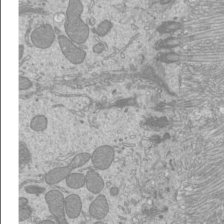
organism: Mouse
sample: Cilia; mouse epididymis